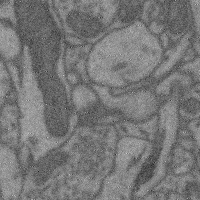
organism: Mouse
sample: Cerebral cortex